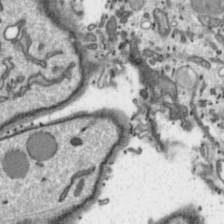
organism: Toxoplasma gondii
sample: Parasites in a vacuole inside a host cell